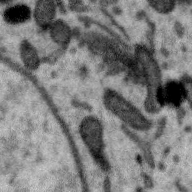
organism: Zebra finch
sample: Brain